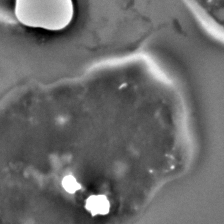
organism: C. elegans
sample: C. elegans embryo